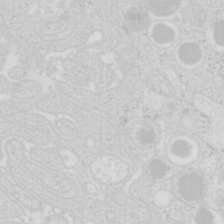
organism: Mouse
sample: Pancreas